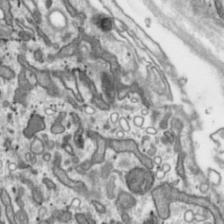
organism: Toxoplasma gondii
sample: Parasites in a vacuole inside a host cell